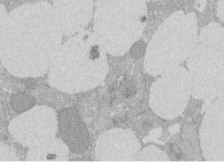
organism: Rat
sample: Salivary granule